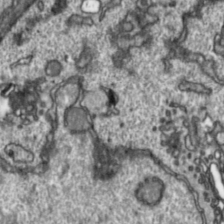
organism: Toxoplasma gondii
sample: Parasites in a vacuole inside a host cell